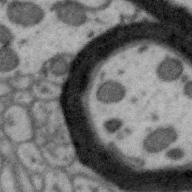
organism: Zebra finch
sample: Brain